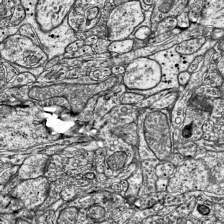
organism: Mouse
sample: Visual Cortex